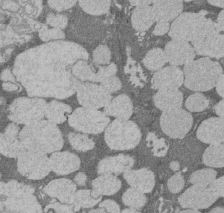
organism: Rat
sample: Salivary granule